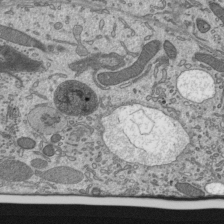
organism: Mouse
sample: Mouse epididymis efferent ductule cilia